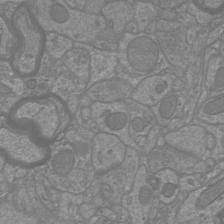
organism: Mouse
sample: Cortical neurons